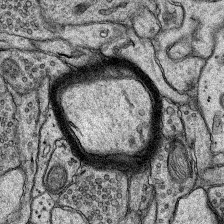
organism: Rat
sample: Hippocampus